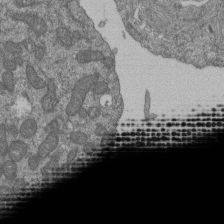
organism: Human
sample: Retinal organoid Rod and Cone cells